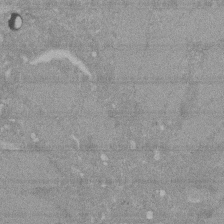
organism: Mouse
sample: ED-1 cell nuclei; centrioles